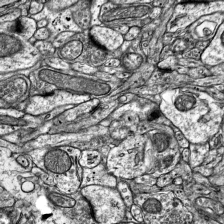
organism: Mouse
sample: Visual Cortex